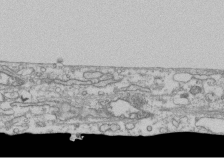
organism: Human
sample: Fibroblast cells